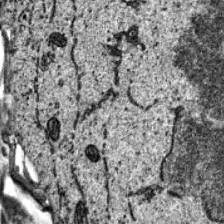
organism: Human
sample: HeLa cells